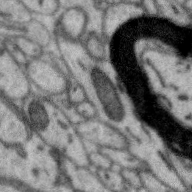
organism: Zebra finch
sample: Brain